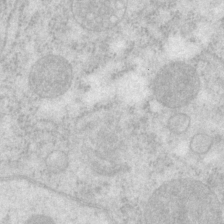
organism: P. pacificus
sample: Pharynx